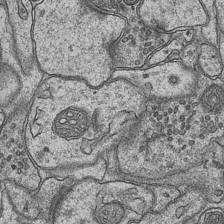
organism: Mouse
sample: CA1 Hippocampus